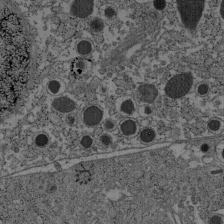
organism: C57BL Mouse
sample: Pancreatic islet